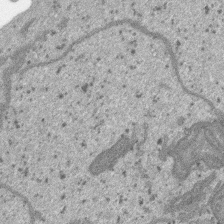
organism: Human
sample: Lung epithelial cells infected with SARS-CoV-2